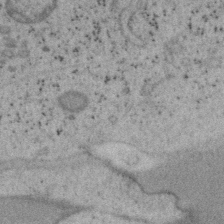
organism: Human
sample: HeLa cells